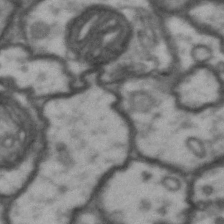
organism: Drosophila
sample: Brain